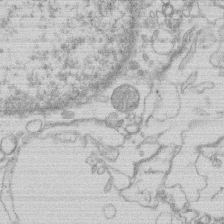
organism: Human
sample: Macrophage cells